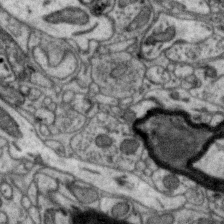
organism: Zebra finch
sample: Brain